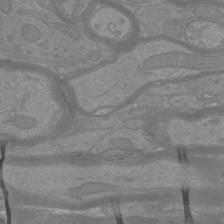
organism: Mouse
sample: Cortical neurons